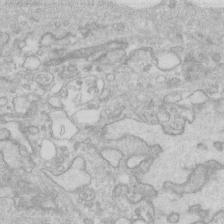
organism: Human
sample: Fibroblast cells